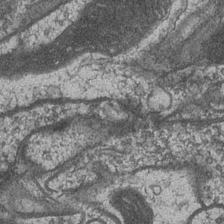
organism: Drosophila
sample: Optic medulla